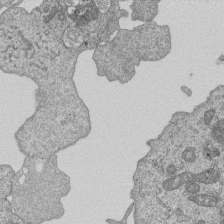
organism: Human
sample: MDA-MB-231 cells